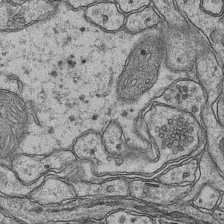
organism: Mouse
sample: CA1 Hippocampus